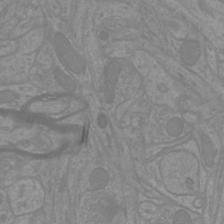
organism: Mouse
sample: Cortical neurons